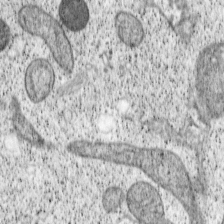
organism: African green monkey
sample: COS-7 cells